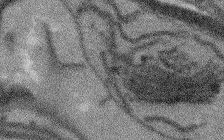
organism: Arabidopsis thaliana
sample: Root tip